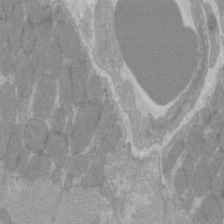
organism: C57BL Mouse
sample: Tibialis anterior muscle cell